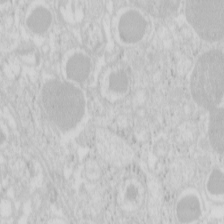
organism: Mouse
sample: Pancreas